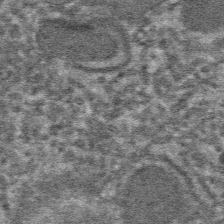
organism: Mouse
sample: Mouse hepatocytes